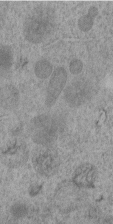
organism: C. elegans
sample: C. elegans embryo early stage